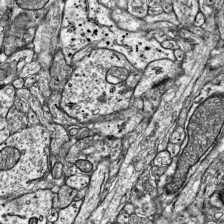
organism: Mouse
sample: Visual Cortex